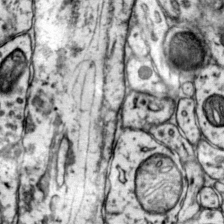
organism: Mouse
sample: Primary visual cortex